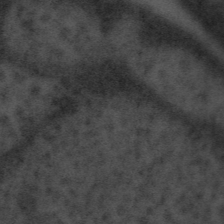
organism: Tuwongella immobilis